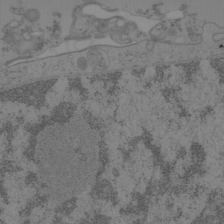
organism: Human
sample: HeLa cells